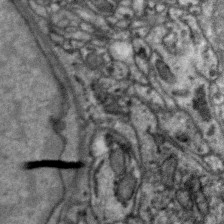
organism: Zebra finch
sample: Brain